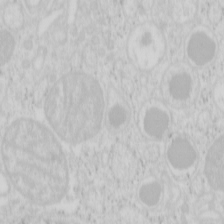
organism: Mouse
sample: Pancreas